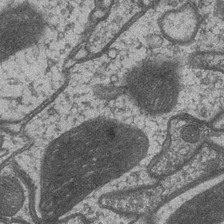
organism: Drosophila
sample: Optic medulla